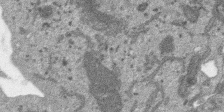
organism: Human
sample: Lung epithelial cells infected with SARS-CoV-2